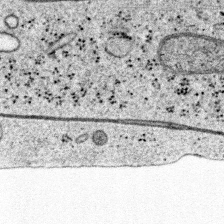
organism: Human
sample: HeLa cells